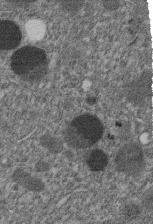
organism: C. elegans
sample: C. elegans embryo early stage